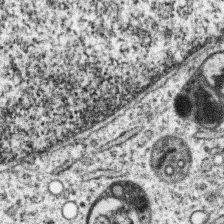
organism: Human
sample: HeLa cells